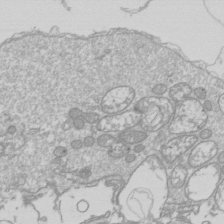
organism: Drosophila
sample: Cell division; meiosis; drosophila spermatocytes